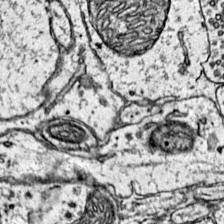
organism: Mouse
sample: Primary visual cortex